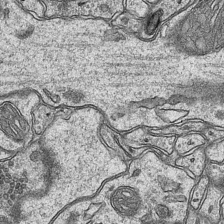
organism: Mouse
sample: CA1 Hippocampus